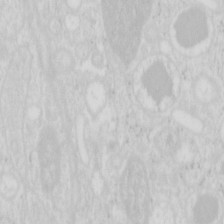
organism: Mouse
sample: Pancreas